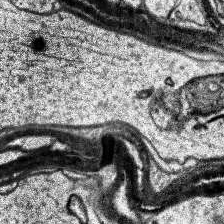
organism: Human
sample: Temporal Lobe